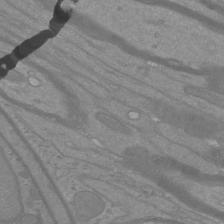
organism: Mouse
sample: Cortical neurons